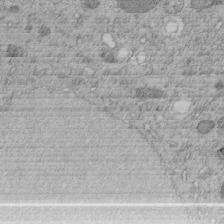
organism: C. elegans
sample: C. elegans embryo early stage